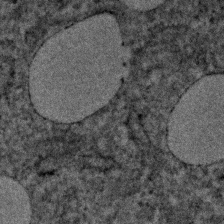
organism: Human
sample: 1205lu cells